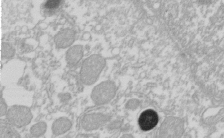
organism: Xenopus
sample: Cilia; centrioles in frog embryo cells